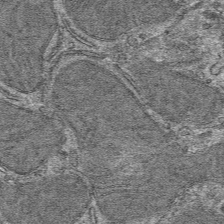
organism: Mouse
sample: Mouse hepatocytes